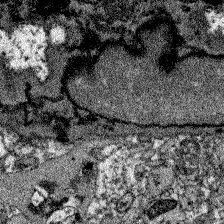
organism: Zebrafish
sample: Larval olfactory bulb